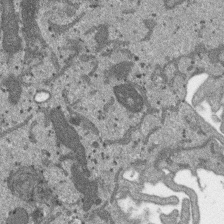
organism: Human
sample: Lung epithelial cells infected with SARS-CoV-2